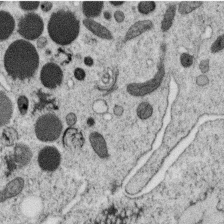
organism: C. elegans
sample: C. elegans oocyte; sperm cells